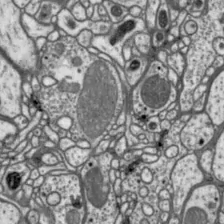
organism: Drosophila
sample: Protocerebral bridge